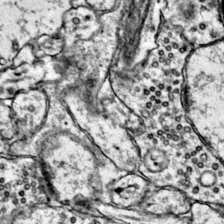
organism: Mouse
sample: Primary visual cortex